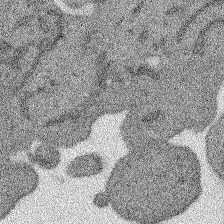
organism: Human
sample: HeLa cells